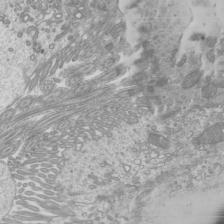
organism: Mouse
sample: Cilia; mouse epididymis